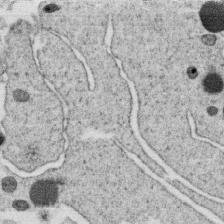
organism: C. elegans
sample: C. elegans oocyte; sperm cells